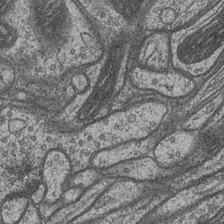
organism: Drosophila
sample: Optic medulla